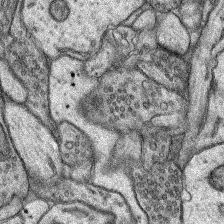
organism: Rat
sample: Hippocampus